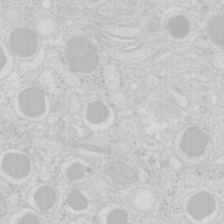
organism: Mouse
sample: Pancreas